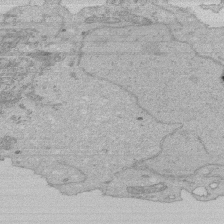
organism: Human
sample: Activated Jurkat CD4+ T cells